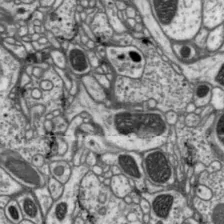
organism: Drosophila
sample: Protocerebral bridge